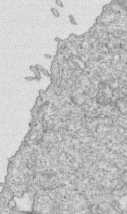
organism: Human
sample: HeLa cell HIV synapse